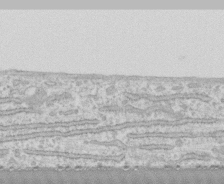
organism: Human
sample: CRL-1474